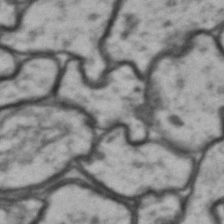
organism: Drosophila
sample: Brain